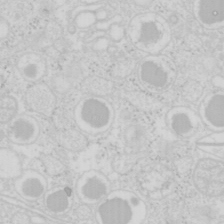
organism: Mouse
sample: Pancreas